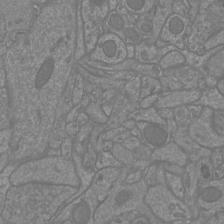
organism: Mouse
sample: Cortical neurons